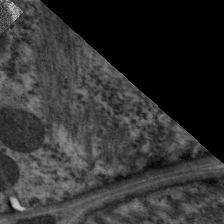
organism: C. elegans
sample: Pharynx